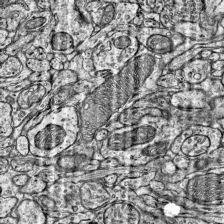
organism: Mouse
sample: Visual Cortex